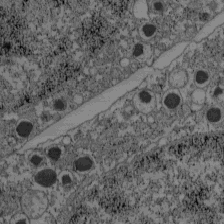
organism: C57BL Mouse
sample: Pancreatic islet